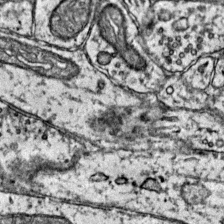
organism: Mouse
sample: Primary visual cortex